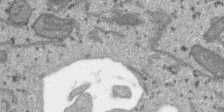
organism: Human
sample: Lung epithelial cells infected with SARS-CoV-2